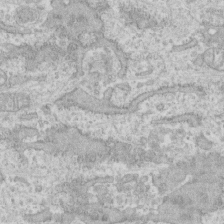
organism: Human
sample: CRL-1474